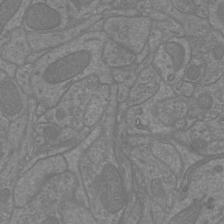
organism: Mouse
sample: Cortical neurons